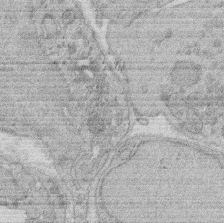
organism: Rat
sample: Salivary granule